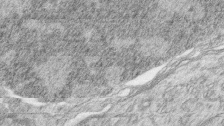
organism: Zebrafish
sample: synaptic ribbons in rod cells and cone cells